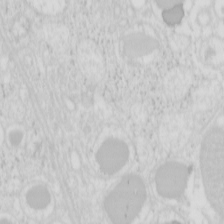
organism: Mouse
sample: Pancreas